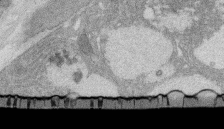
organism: Rat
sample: Salivary granule